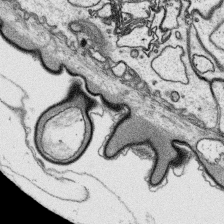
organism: Platynereis dumerilii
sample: Parapodia